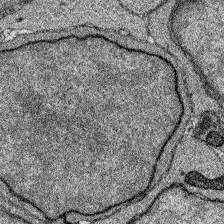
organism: Zebrafish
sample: Larval olfactory bulb